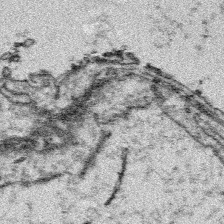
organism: Platynereis dumerilii